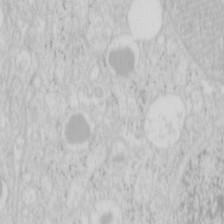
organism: Mouse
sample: Pancreas